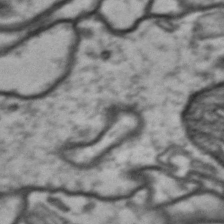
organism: Drosophila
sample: Brain